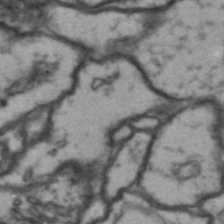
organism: Drosophila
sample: Brain